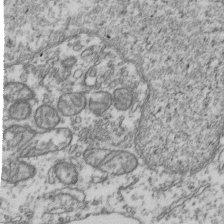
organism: Human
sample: Activated Jurkat CD4+ T cells